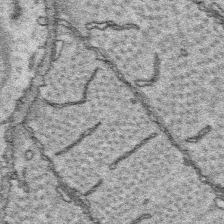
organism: Platynereis dumerilii